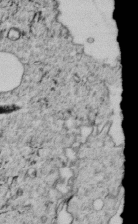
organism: C. elegans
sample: C. elegans embryo early stage